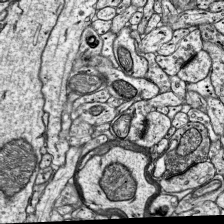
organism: Mouse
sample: Visual Cortex